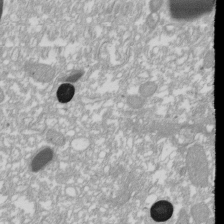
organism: Xenopus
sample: Cilia; centrioles in frog embryo cells